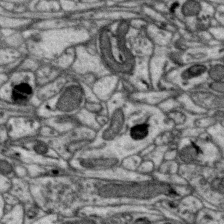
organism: Zebra finch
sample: Brain